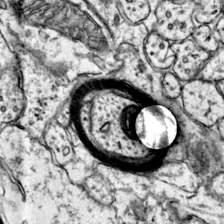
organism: Mouse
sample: Primary visual cortex